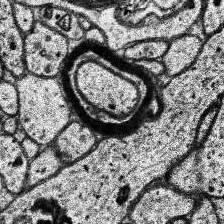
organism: Human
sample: Temporal Lobe